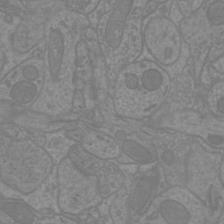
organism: Mouse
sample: Cortical neurons